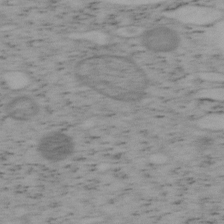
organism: Mouse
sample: OT-I killer T cells with ID8 ovarian cancer cells